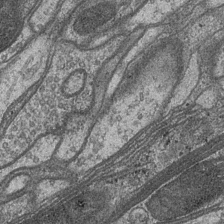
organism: Drosophila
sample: Optic medulla